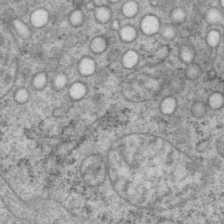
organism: P. pacificus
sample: Pharynx